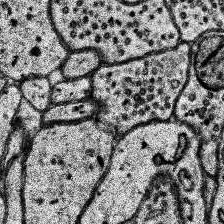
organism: Human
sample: Temporal Lobe